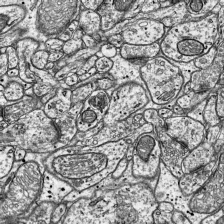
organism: Mouse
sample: Visual Cortex